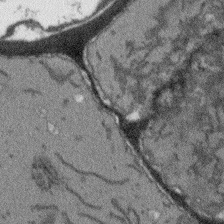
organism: Arabidopsis thaliana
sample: Root tip